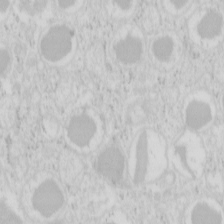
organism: Mouse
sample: Pancreas